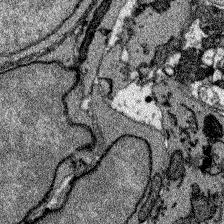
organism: Zebrafish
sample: Larval olfactory bulb